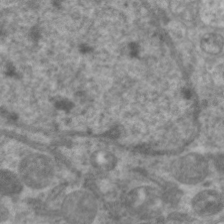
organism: C. elegans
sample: Pharynx